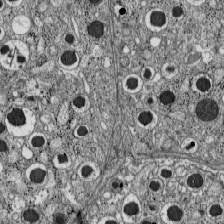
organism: C57BL Mouse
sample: Pancreatic islet